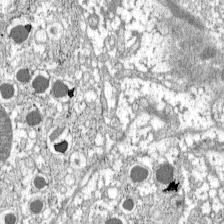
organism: C57BL Mouse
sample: Pancreatic islet